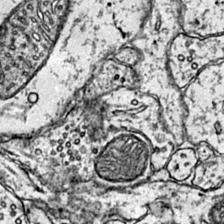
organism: Mouse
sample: Primary visual cortex